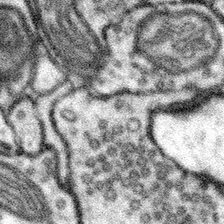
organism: Mouse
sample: Somatosensory cortex neuropil